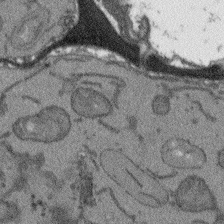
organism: Arabidopsis thaliana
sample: Root tip